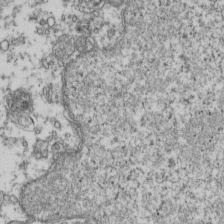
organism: Human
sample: Activated Jurkat CD4+ T cells